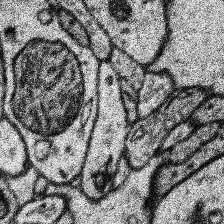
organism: Human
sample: Temporal Lobe